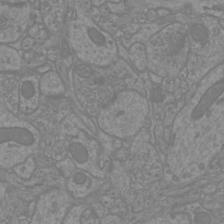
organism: Mouse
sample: Cortical neurons